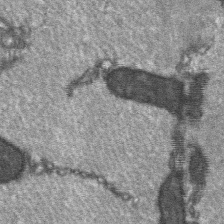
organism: C57BL Mouse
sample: Soleus